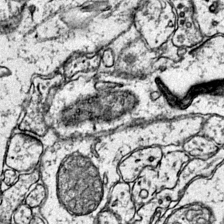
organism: Mouse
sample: Primary visual cortex